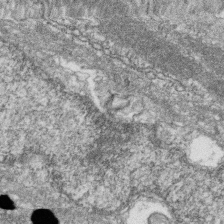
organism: Zebrafish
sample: Cilia; retinal pigment epithelium